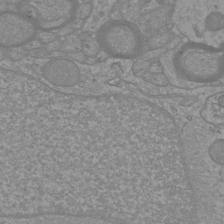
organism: Mouse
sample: Cortical neurons